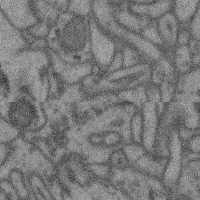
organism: Mouse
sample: Cerebral cortex